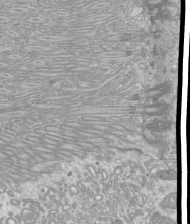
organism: Mouse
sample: Cilia; mouse epididymis